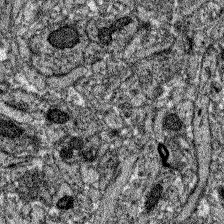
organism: Zebrafish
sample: Larval olfactory bulb